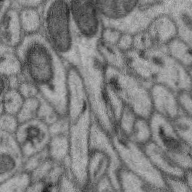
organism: Zebra finch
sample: Brain